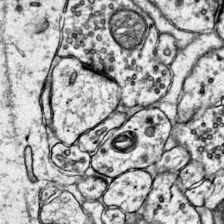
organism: Mouse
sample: Primary visual cortex